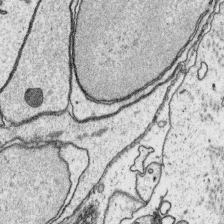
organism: Platynereis dumerilii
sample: Parapodia